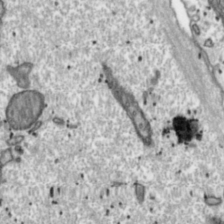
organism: Toxoplasma gondii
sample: Parasites in a vacuole inside a host cell